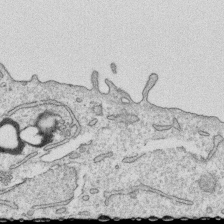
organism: Human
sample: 1205lu cells